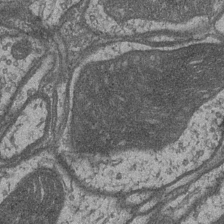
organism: Drosophila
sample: Optic medulla